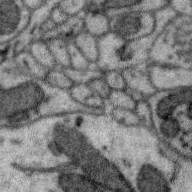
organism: Zebra finch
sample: Brain